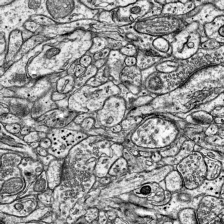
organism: Mouse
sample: Visual Cortex